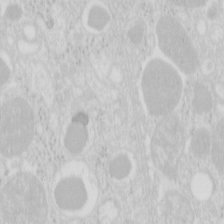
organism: Mouse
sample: Pancreas